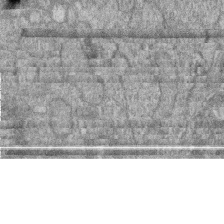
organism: Zebrafish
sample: Cilia; retinal pigment epithelium